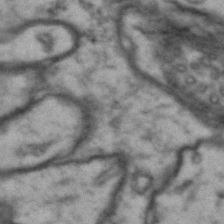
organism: Drosophila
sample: Brain